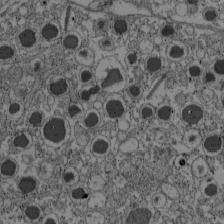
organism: C57BL Mouse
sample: Pancreatic islet